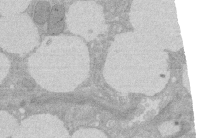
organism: Rat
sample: Salivary granule